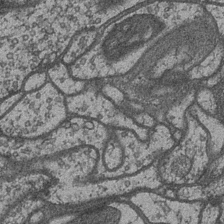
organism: Drosophila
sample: Optic medulla